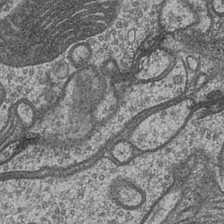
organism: Drosophila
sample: Optic medulla